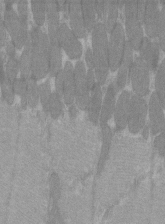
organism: C57BL Mouse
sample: Tibialis anterior muscle cell